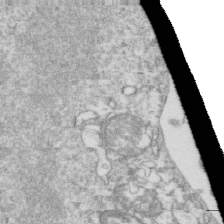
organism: Mouse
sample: Activated OT-1 CD8+ T cells